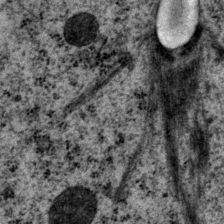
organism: P. pacificus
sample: Pharynx